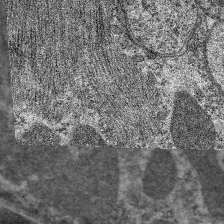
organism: C. elegans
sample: Pharynx